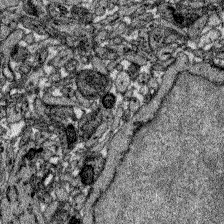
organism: Zebrafish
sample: Larval olfactory bulb